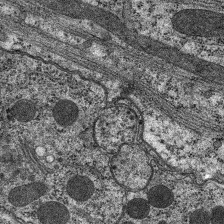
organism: C. elegans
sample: Pharynx